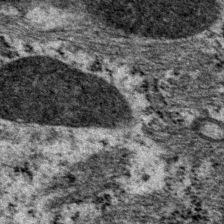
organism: P. pacificus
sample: Pharynx